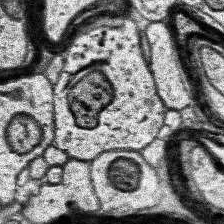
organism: Human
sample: Temporal Lobe